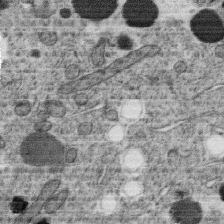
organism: C. elegans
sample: C. elegans oocyte; sperm cells